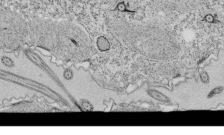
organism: Tetrahymena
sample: Cilia in tetrahymena